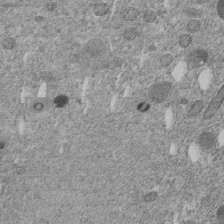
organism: C. elegans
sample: C. elegans embryo early stage